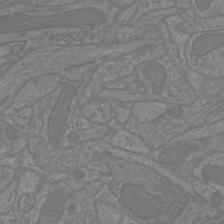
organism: Mouse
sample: Cortical neurons